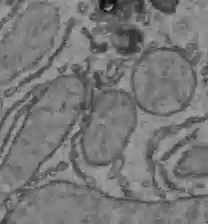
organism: C57BL Mouse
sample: Liver